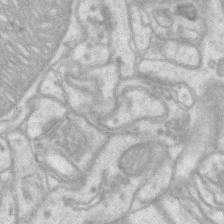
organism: Mouse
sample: CA1 Hippocampus